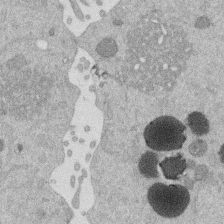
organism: Mouse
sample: Dividing mouse embryo 1 cell stage